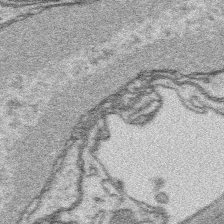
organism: Platynereis dumerilii